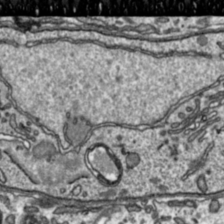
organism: Toxoplasma gondii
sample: Parasites in a vacuole inside a host cell